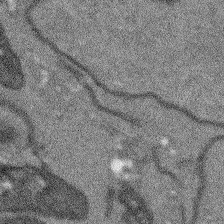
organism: Arabidopsis thaliana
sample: Root tip